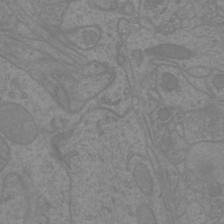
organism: Mouse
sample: Cortical neurons